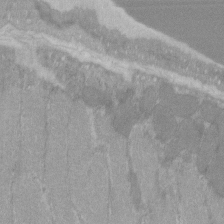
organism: C57BL Mouse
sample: Tibialis anterior muscle cell